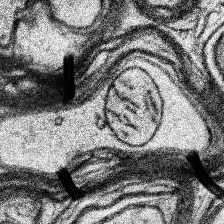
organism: Human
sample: Temporal Lobe